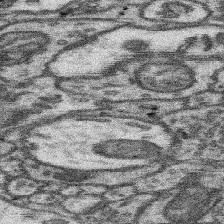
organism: Mouse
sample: Somatosensory cortex neuropil